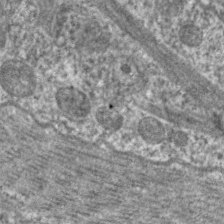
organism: C. elegans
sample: Pharynx